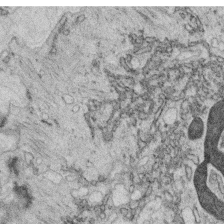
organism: C. elegans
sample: C. elegans oocyte; sperm cells